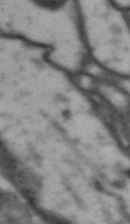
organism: Drosophila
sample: Brain